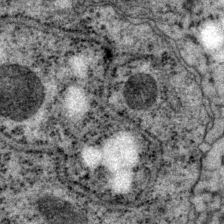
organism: P. pacificus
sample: Pharynx